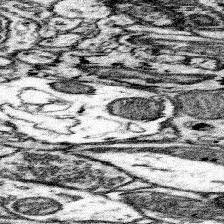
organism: Mouse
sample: Somatosensory cortex neuropil